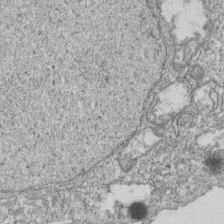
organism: Human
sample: HeLa cell HIV synapse